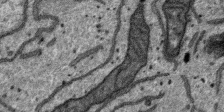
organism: Human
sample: Lung epithelial cells, uninfected (mock) control